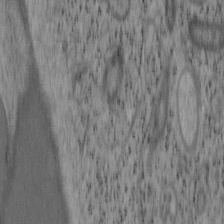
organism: Human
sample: HeLa cells